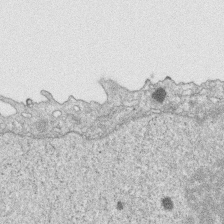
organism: Human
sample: HeLa cell HIV synapse